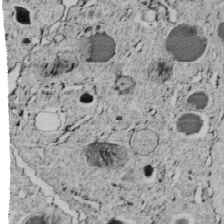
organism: C. elegans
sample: C. elegans embryo early stage